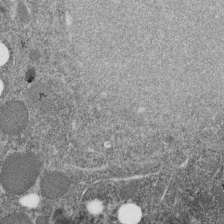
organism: C. elegans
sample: C. elegans embryo early stage